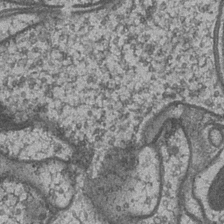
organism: Drosophila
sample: Optic medulla